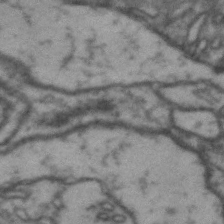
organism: Drosophila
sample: Brain